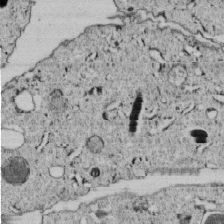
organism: C. elegans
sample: C. elegans embryo early stage